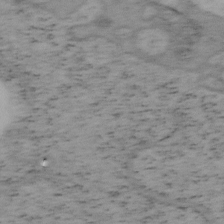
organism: Mouse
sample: OT-I killer T cells with ID8 ovarian cancer cells